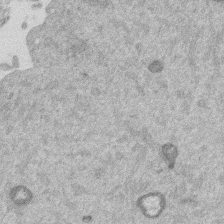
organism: Mouse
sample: Dividing mouse embryo 1 cell stage